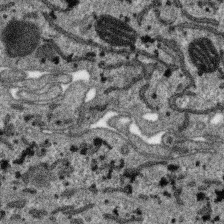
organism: Human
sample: Lung epithelial cells infected with SARS-CoV-2